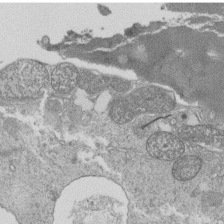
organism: Tetrahymena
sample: Cilia in tetrahymena